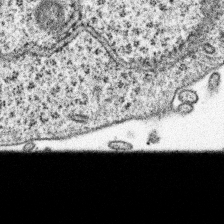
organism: Human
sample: HeLa cells